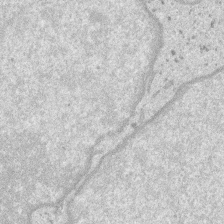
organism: Human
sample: Lung epithelial cells infected with SARS-CoV-2